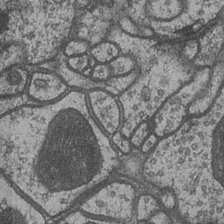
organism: Drosophila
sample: Optic medulla